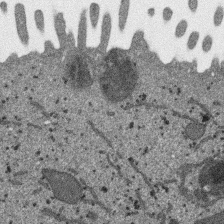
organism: Human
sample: Lung epithelial cells infected with SARS-CoV-2